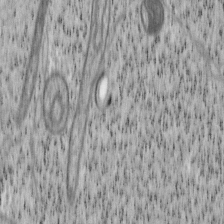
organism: Human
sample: HeLa cells